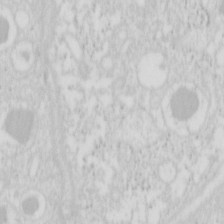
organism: Mouse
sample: Pancreas